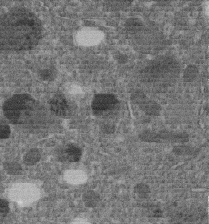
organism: C. elegans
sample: C. elegans embryo early stage